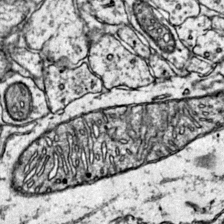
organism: Mouse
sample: Primary visual cortex